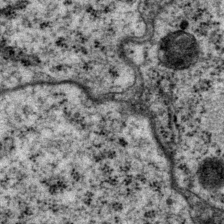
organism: P. pacificus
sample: Pharynx